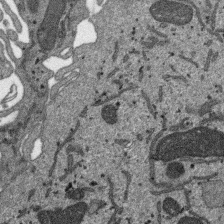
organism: Human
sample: Lung epithelial cells infected with SARS-CoV-2